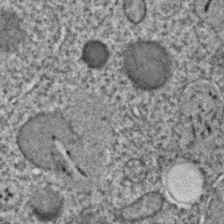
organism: C. elegans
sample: C. elegans embryo